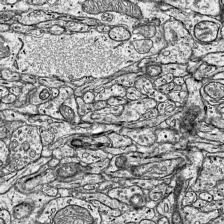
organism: Mouse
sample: Visual Cortex